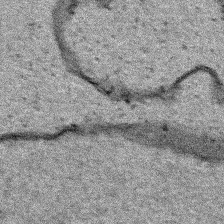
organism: Human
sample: Mitochondria in HCT116 cells